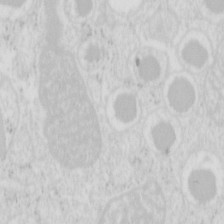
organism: Mouse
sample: Pancreas